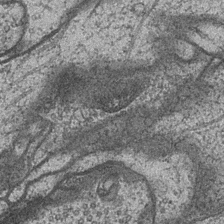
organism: Drosophila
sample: Optic medulla